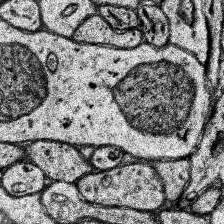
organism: Human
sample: Temporal Lobe